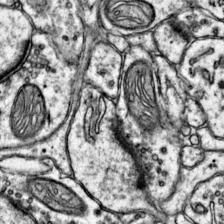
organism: Mouse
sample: Primary visual cortex